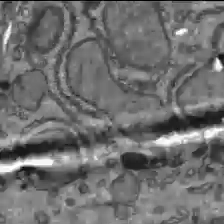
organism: C57BL Mouse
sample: Liver